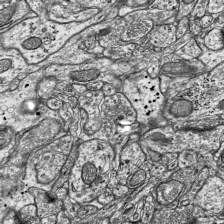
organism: Mouse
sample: Visual Cortex